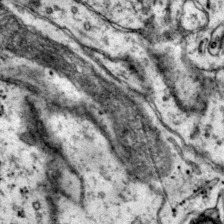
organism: Mouse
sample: Primary visual cortex